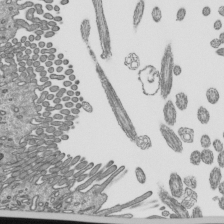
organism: Mouse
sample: Mouse epididymis efferent ductule cilia